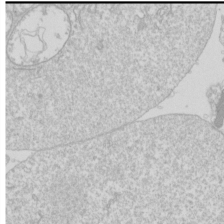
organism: Drosophila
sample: Cell division; meiosis; drosophila spermatocytes